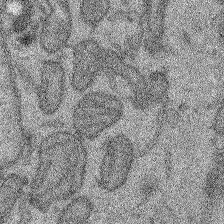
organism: Human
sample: HeLa cells